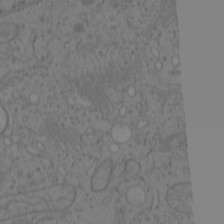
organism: Human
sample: HeLa cells